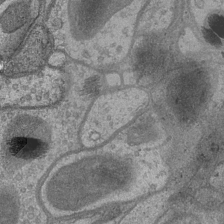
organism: Drosophila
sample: Optic medulla